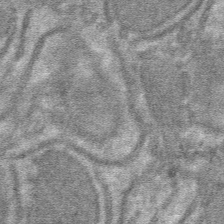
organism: Mouse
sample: Mouse hepatocytes